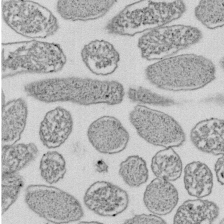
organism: E. coli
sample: Bacterial nucleoid